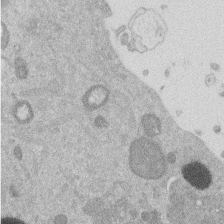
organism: Mouse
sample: Dividing mouse embryo 1 cell stage